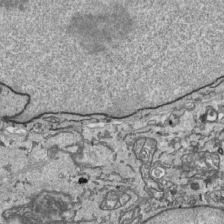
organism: Human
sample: Mitochondria in HCT116 cells